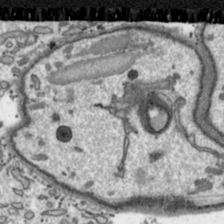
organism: Toxoplasma gondii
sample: Parasites in a vacuole inside a host cell